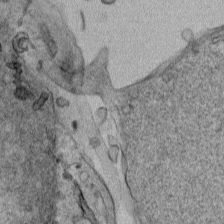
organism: Human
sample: Mitochondria in HCT116 cells